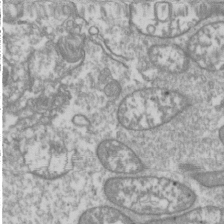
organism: Drosophila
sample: Cell division; meiosis; drosophila spermatocytes